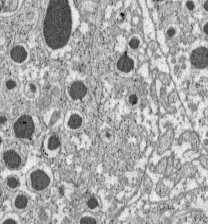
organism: C57BL Mouse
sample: Pancreatic islet